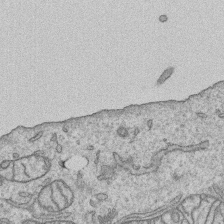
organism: Human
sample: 1205lu cells